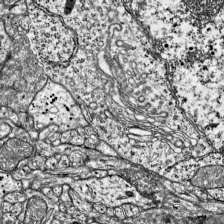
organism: Mouse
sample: Visual Cortex